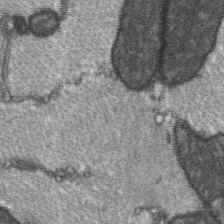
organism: C57BL Mouse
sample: Soleus